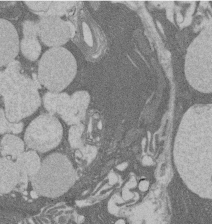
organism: Rat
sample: Salivary granule